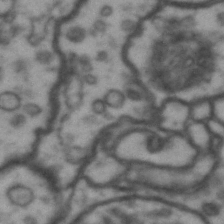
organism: Drosophila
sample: Brain